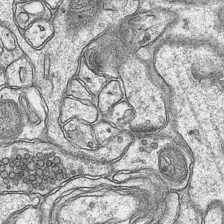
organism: Mouse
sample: CA1 Hippocampus